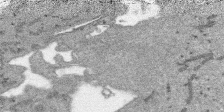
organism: Human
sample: Lung epithelial cells infected with SARS-CoV-2